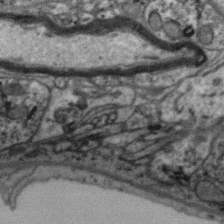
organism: Zebra finch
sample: Brain